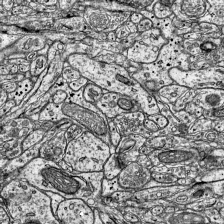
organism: Mouse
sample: Visual Cortex